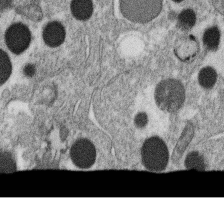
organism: C. elegans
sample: C. elegans oocyte; sperm cells